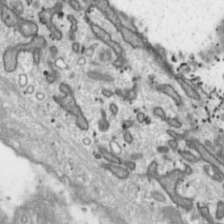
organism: Toxoplasma gondii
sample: Parasites in a vacuole inside a host cell